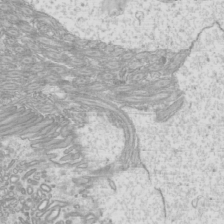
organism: Mouse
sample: Cilia; mouse epididymis